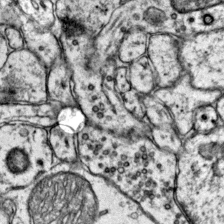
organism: Mouse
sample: Primary visual cortex